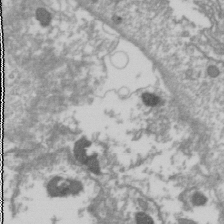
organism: Drosophila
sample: Cell division; meiosis; drosophila spermatocytes